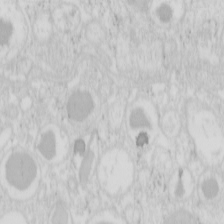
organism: Mouse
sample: Pancreas